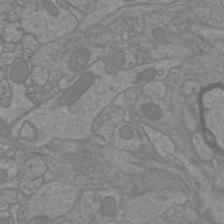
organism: Mouse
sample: Cortical neurons